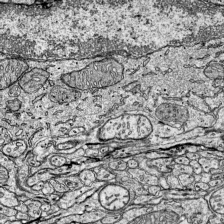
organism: Mouse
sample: Visual Cortex